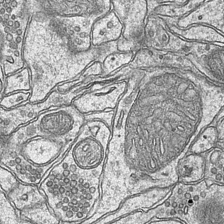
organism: Mouse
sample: CA1 Hippocampus